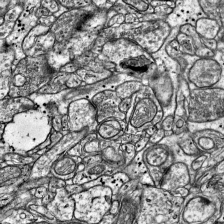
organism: Mouse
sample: Visual Cortex